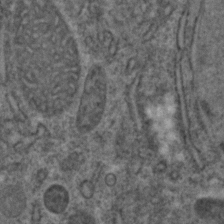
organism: C. elegans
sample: C. elegans embryo